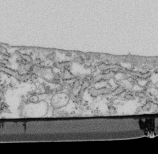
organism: Mouse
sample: Cilia; retinal pigment epithelium